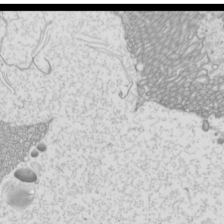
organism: Mouse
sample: Cilia; mouse epididymis